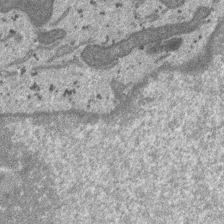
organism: Human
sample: Lung epithelial cells infected with SARS-CoV-2